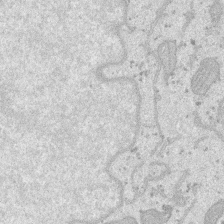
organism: Human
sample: Lung epithelial cells infected with SARS-CoV-2